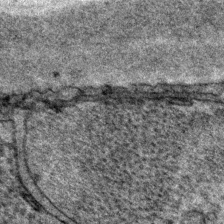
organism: P. pacificus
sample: Pharynx